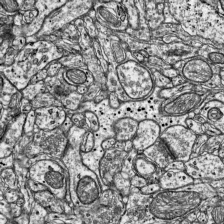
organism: Mouse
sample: Visual Cortex